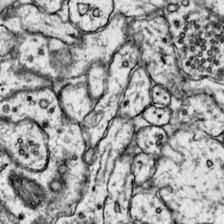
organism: Mouse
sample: Primary visual cortex